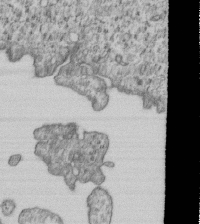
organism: Human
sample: MDA-MB-231 cells